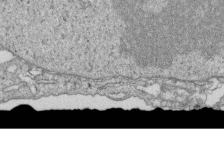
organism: Human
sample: HeLa cell HIV synapse